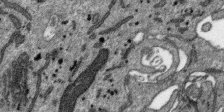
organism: Human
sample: Lung epithelial cells, uninfected (mock) control